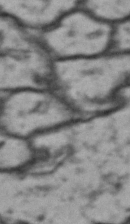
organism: Drosophila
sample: Brain